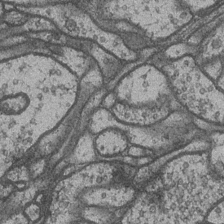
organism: Drosophila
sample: Optic medulla